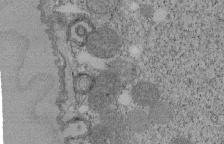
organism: Tetrahymena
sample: Cilia in tetrahymena